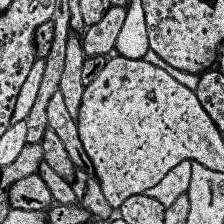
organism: Human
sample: Temporal Lobe